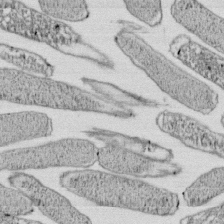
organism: E. coli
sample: Bacterial nucleoid